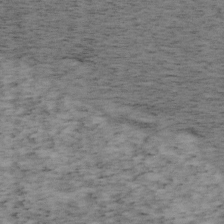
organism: Mouse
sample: OT-I killer T cells with ID8 ovarian cancer cells